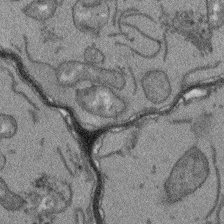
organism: Arabidopsis thaliana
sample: Root tip